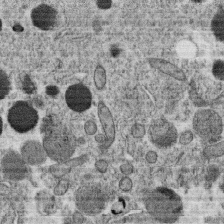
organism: C. elegans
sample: C. elegans oocyte; sperm cells